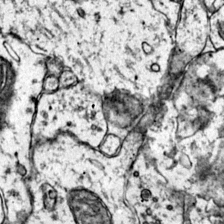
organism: Mouse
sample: Primary visual cortex